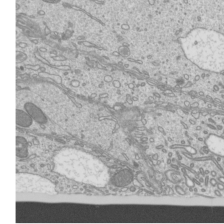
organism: Mouse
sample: Cilia; mouse epididymis